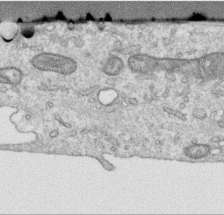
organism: Human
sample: Centriole in RPE cells